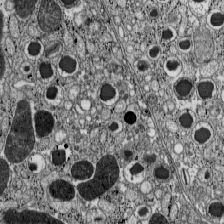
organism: C57BL Mouse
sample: Pancreatic islet